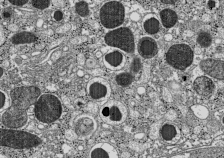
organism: C57BL Mouse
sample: Pancreatic islet